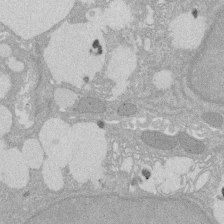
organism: Rat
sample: Salivary granule